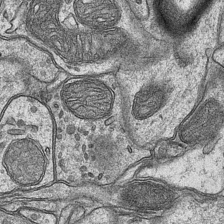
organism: Mouse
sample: CA1 Hippocampus